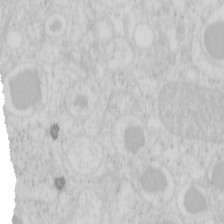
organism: Mouse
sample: Pancreas